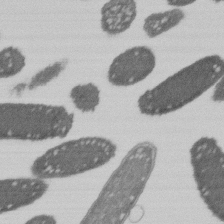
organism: E. coli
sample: Bacterial nucleoid